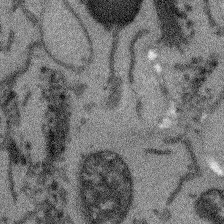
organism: Arabidopsis thaliana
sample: Root tip